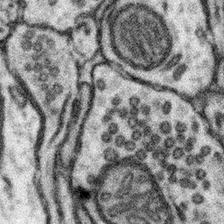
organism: Mouse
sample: Somatosensory cortex neuropil